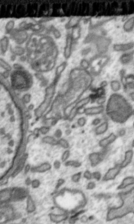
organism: Toxoplasma gondii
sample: Parasites in a vacuole inside a host cell